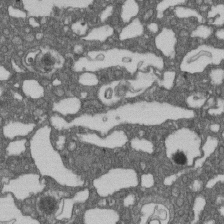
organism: Drosophila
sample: Nephrocyte